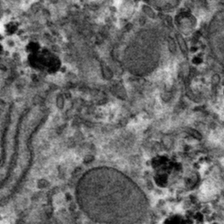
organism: Mouse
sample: Mouse hepatocytes